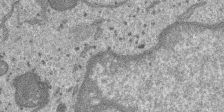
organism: Human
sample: Lung epithelial cells infected with SARS-CoV-2